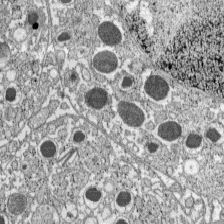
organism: C57BL Mouse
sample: Pancreatic islet